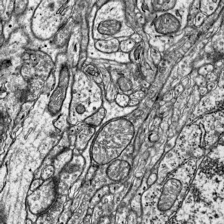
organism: Mouse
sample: Visual Cortex